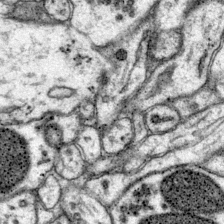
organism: Mouse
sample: Primary visual cortex